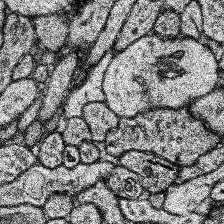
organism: Human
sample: Temporal Lobe